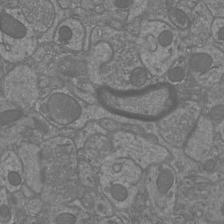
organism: Mouse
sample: Cortical neurons